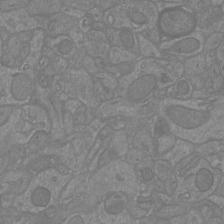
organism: Mouse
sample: Cortical neurons